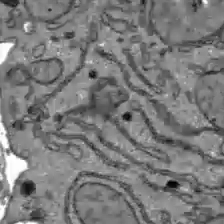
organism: C57BL Mouse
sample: Liver